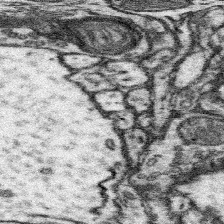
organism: Mouse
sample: Somatosensory cortex neuropil